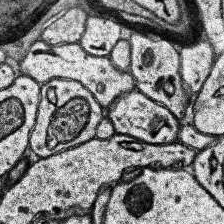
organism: Human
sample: Temporal Lobe